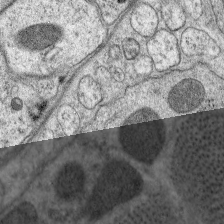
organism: C. elegans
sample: Pharynx